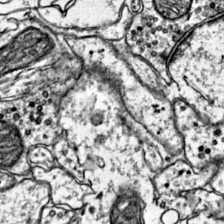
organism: Mouse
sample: Primary visual cortex